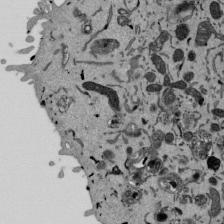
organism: Mouse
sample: ED-1 cell nuclei; centrioles